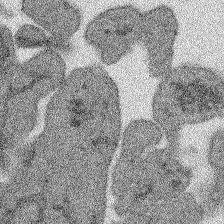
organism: Human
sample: HeLa cells